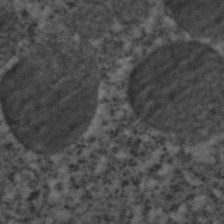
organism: C. elegans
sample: C. elegans embryo